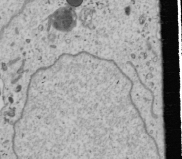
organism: Human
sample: Mitochondria in U2OS cells